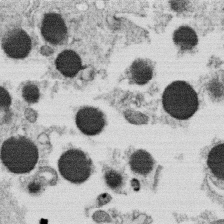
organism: C. elegans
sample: C. elegans oocyte; sperm cells